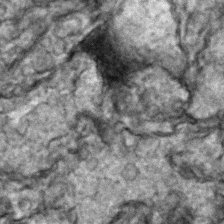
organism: Zebrafish